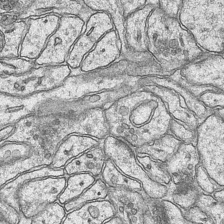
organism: Mouse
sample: CA1 Hippocampus